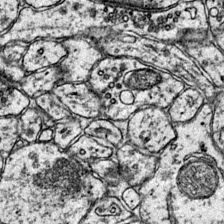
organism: Mouse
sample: Primary visual cortex